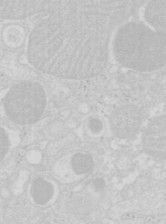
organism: Mouse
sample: Pancreas